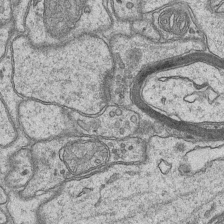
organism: Mouse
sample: CA1 Hippocampus